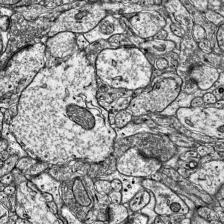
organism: Mouse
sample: Visual Cortex